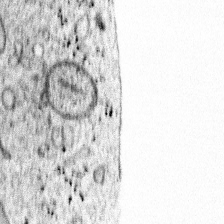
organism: Human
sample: HeLa cells